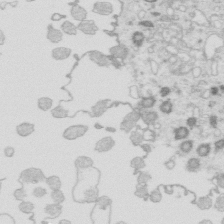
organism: Mouse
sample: Multiciliated cells